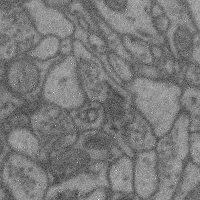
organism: Mouse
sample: Cerebral cortex